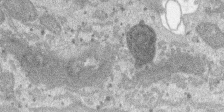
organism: Human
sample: Lung epithelial cells infected with SARS-CoV-2